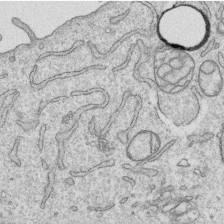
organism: Human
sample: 1205lu cells